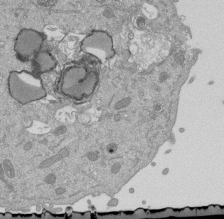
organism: Mouse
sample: ED-1 cell nuclei; centrioles